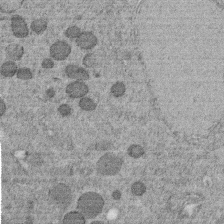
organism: C. elegans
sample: C. elegans embryo early stage